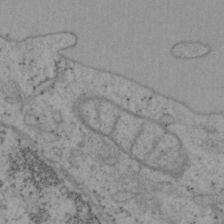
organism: Human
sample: HeLa cells